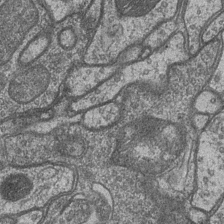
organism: Drosophila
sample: Optic medulla